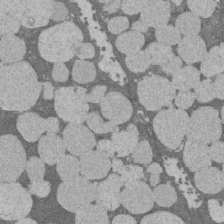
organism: Rat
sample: Salivary granule